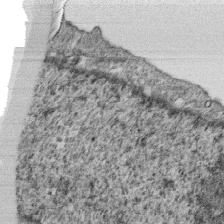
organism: African green monkey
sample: Vero E6 cells infected with SARS-CoV-2